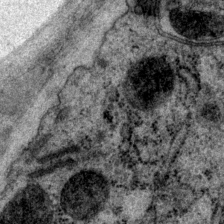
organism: P. pacificus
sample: Pharynx